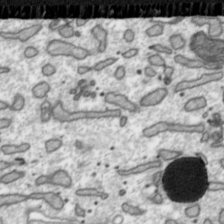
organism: Toxoplasma gondii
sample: Parasites in a vacuole inside a host cell